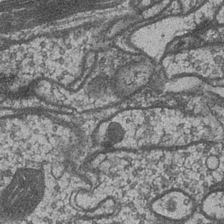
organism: Drosophila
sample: Optic medulla